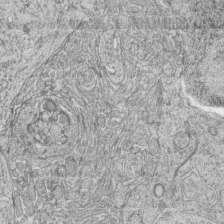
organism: Zebrafish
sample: synaptic ribbons in rod cells and cone cells